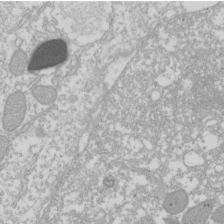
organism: Xenopus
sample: Cilia; centrioles in frog embryo cells